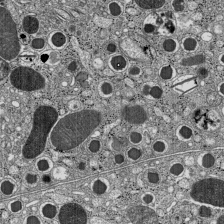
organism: C57BL Mouse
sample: Pancreatic islet